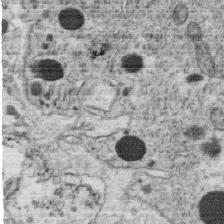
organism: C. elegans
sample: C. elegans oocyte; sperm cells